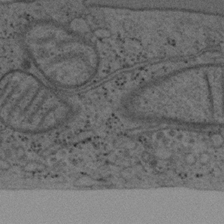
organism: Human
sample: HeLa cells